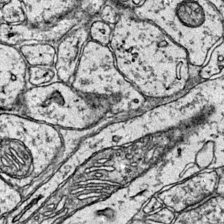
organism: Mouse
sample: Primary visual cortex